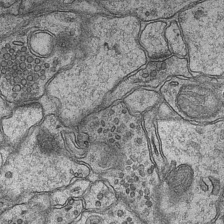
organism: Mouse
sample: CA1 Hippocampus